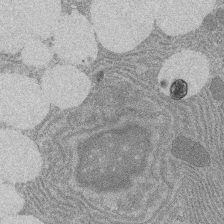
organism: Rat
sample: Salivary granule